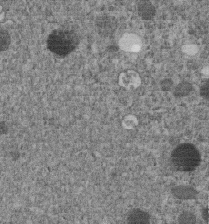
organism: C. elegans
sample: C. elegans embryo early stage